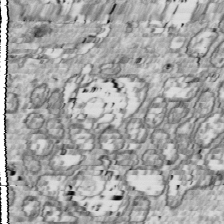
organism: Drosophila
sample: Cell division; meiosis; drosophila spermatocytes